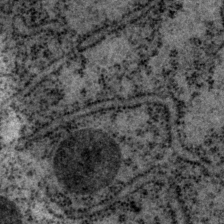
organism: P. pacificus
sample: Pharynx